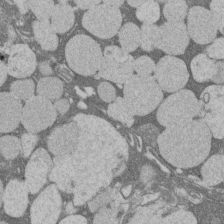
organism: Rat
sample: Salivary granule